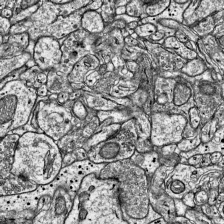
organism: Mouse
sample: Visual Cortex